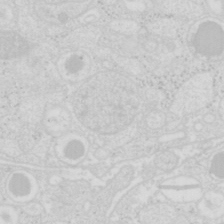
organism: Mouse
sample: Pancreas